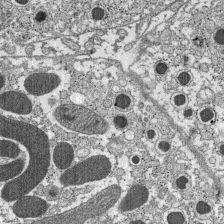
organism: C57BL Mouse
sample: Pancreatic islet